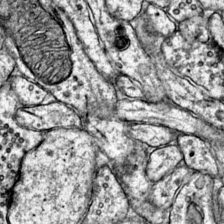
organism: Mouse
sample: Primary visual cortex